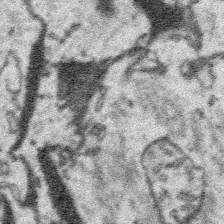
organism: Platynereis dumerilii